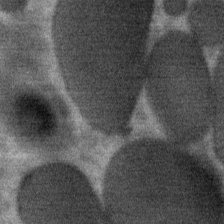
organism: Mouse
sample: Mouse Salivary gland